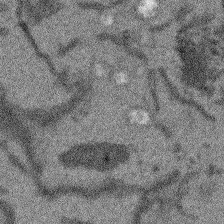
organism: Arabidopsis thaliana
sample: Root tip